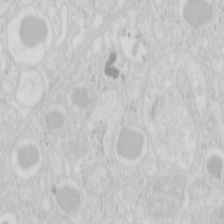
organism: Mouse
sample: Pancreas